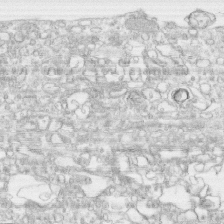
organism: Human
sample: CRL-1474